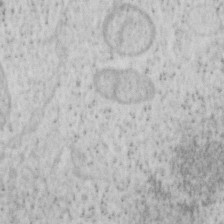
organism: Human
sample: HeLa cells